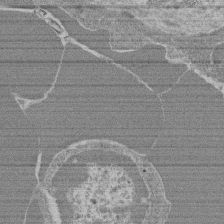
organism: Mouse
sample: Glomerulus